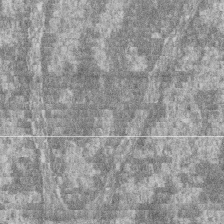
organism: Zebrafish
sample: Cilia; retinal pigment epithelium